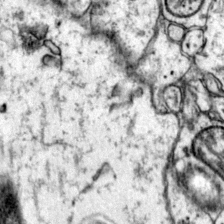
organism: Mouse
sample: Primary visual cortex